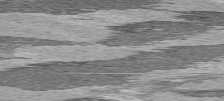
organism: C57BL Mouse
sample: Heart